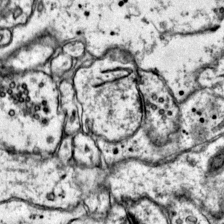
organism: Mouse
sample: Primary visual cortex